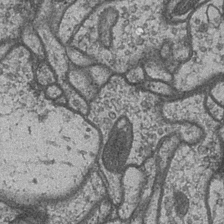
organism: Drosophila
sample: Optic medulla